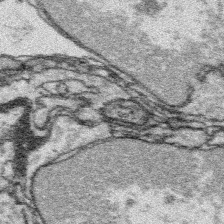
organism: Platynereis dumerilii